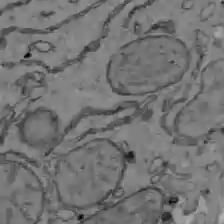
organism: C57BL Mouse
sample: Liver